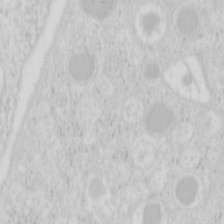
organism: Mouse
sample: Pancreas